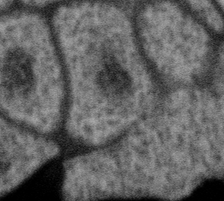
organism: Gemmata obscuriglobus